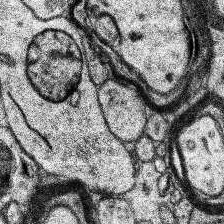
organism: Human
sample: Temporal Lobe